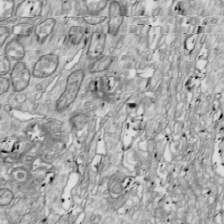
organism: Drosophila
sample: Cell division; meiosis; drosophila spermatocytes